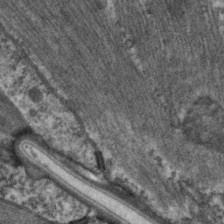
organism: C. elegans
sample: Pharynx